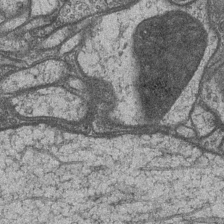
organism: Drosophila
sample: Optic medulla